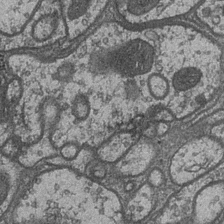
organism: Drosophila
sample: Optic medulla